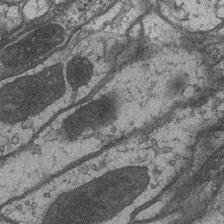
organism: Drosophila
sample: Optic medulla